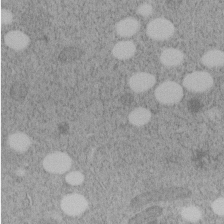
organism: C. elegans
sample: C. elegans embryo early stage